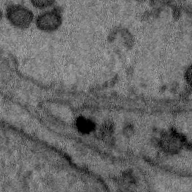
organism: Zebra finch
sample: Brain